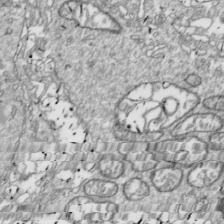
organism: Drosophila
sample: Cell division; meiosis; drosophila spermatocytes